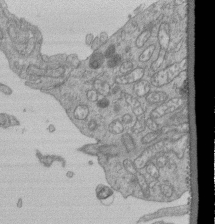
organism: Human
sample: Retinal organoid Rod and Cone cells